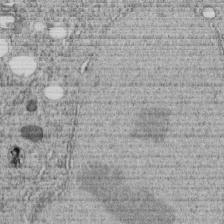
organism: C. elegans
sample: C. elegans embryo early stage